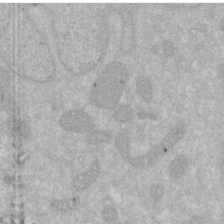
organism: Human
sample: HIV infected U937 cells